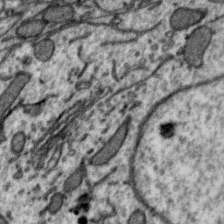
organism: Zebra finch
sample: Brain